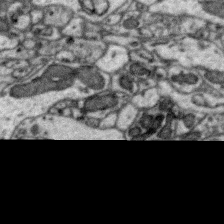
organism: Zebra finch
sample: Brain